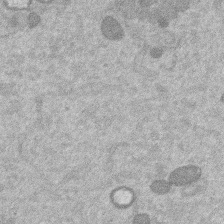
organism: Mouse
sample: Dividing mouse embryo 1 cell stage